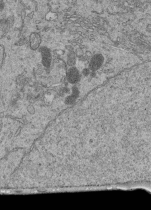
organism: Human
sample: Retinal organoid Rod and Cone cells